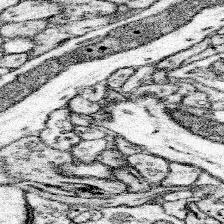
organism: Mouse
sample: Somatosensory cortex neuropil